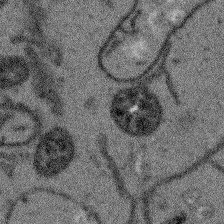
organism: Arabidopsis thaliana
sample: Root tip